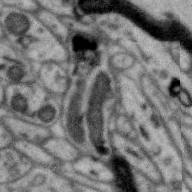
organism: Zebra finch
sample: Brain